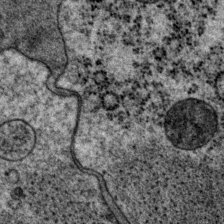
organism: P. pacificus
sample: Pharynx